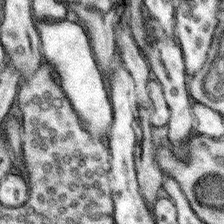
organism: Mouse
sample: Somatosensory cortex neuropil